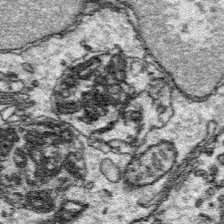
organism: Platynereis dumerilii